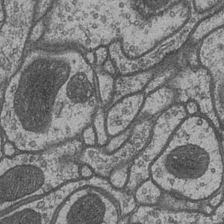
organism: Drosophila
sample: Optic medulla